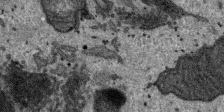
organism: Human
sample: Lung epithelial cells, uninfected (mock) control